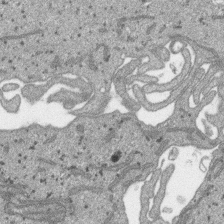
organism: Human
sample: Lung epithelial cells infected with SARS-CoV-2